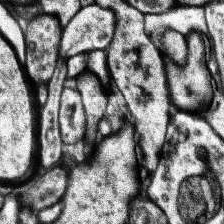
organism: Human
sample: Temporal Lobe